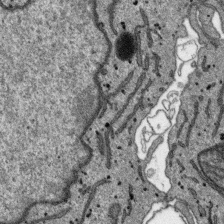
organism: Human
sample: Lung epithelial cells, uninfected (mock) control